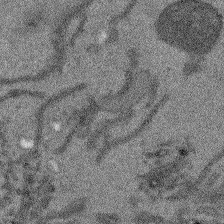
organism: Arabidopsis thaliana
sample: Root tip